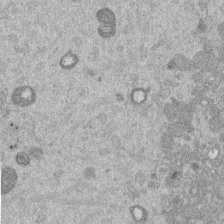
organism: Mouse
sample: Dividing mouse embryo 1 cell stage